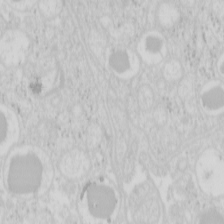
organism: Mouse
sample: Pancreas